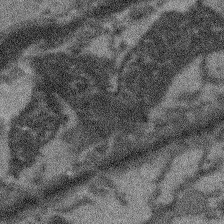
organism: Arabidopsis thaliana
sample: Root tip